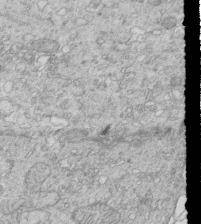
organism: Mouse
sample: Multiciliated cells